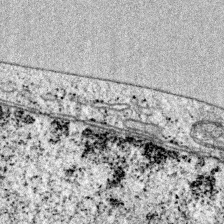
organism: Human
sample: HeLa cells